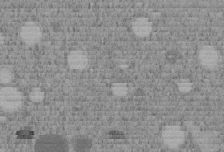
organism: C. elegans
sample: C. elegans embryo early stage